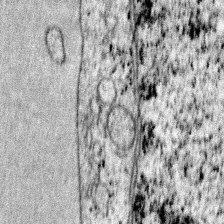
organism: Human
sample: HeLa cells